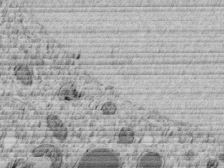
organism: C. elegans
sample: C. elegans embryo early stage